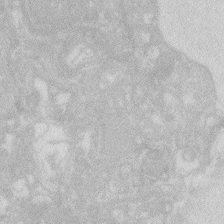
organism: Zebrafish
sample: Macrophage